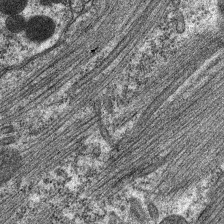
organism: C. elegans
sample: Pharynx